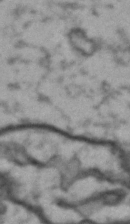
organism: Drosophila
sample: Brain